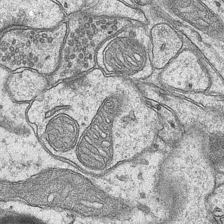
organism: Mouse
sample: CA1 Hippocampus